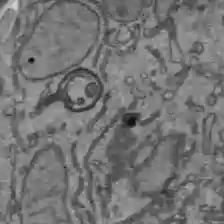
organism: C57BL Mouse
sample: Liver